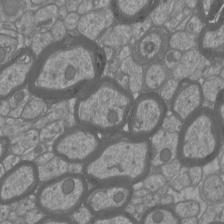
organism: Mouse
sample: Cortical neurons